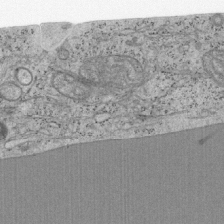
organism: Human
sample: HeLa cells